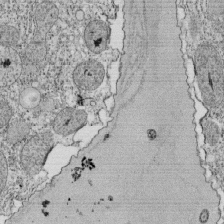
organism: Tetrahymena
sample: Cilia in tetrahymena